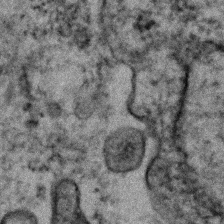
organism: Human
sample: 1205lu cells